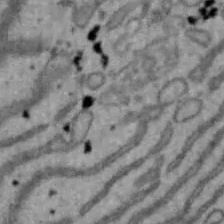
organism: Mouse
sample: Liver